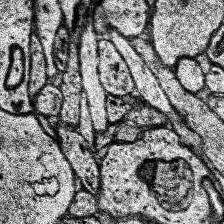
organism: Human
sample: Temporal Lobe